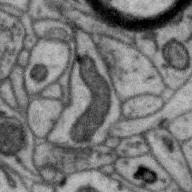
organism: Zebra finch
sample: Brain